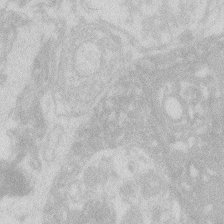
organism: Zebrafish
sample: Macrophage